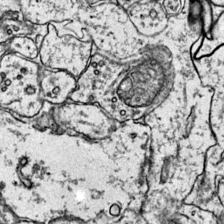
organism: Mouse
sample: Primary visual cortex